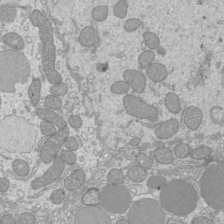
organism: Mouse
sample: Cilia; mouse epididymis